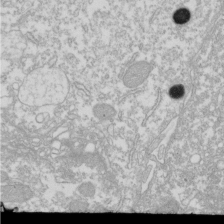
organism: Xenopus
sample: Cilia; centrioles in frog embryo cells